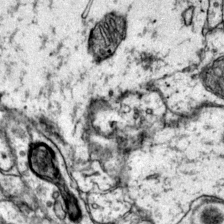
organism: Mouse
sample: Primary visual cortex